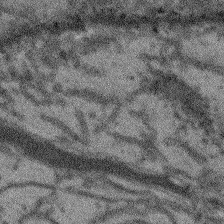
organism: Arabidopsis thaliana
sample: Root tip